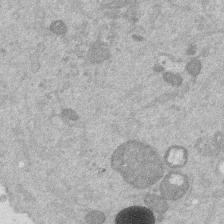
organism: Mouse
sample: Dividing mouse embryo 1 cell stage